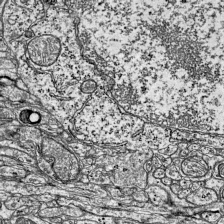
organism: Mouse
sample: Visual Cortex